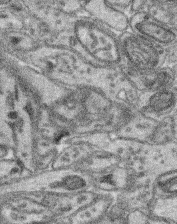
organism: Mouse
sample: Retina